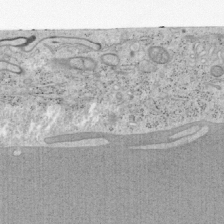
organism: Human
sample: HeLa cells